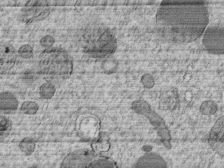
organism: C. elegans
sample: C. elegans embryo early stage